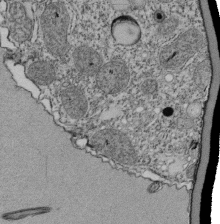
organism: Tetrahymena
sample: Cilia in tetrahymena